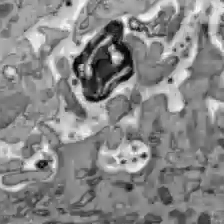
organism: C57BL Mouse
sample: Liver